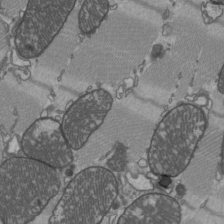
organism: C57BL Mouse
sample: Heart